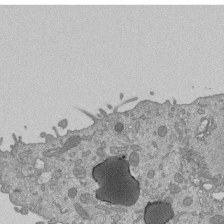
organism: Mouse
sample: ED-1 cell nuclei; centrioles